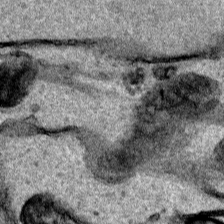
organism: Human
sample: Mitochondria in HCT116 cells